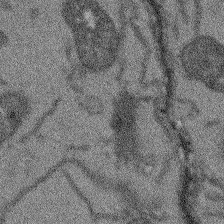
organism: Arabidopsis thaliana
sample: Root tip